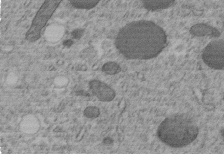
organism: C. elegans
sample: C. elegans embryo early stage